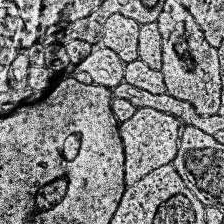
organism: Human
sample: Temporal Lobe